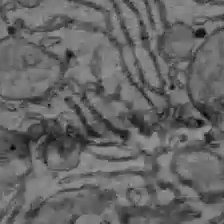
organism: C57BL Mouse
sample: Liver